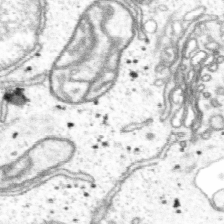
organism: Human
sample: HeLa cells